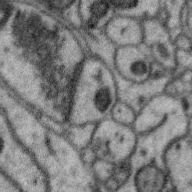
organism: Zebra finch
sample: Brain